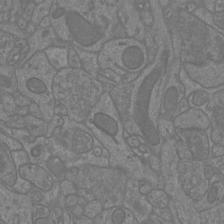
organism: Mouse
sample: Cortical neurons